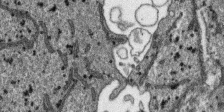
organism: Human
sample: Lung epithelial cells infected with SARS-CoV-2